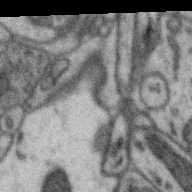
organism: Zebra finch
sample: Brain